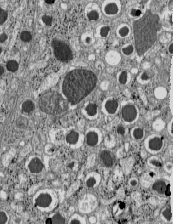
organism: C57BL Mouse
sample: Pancreatic islet